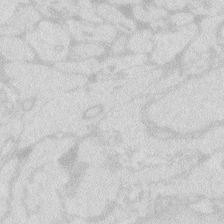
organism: Zebrafish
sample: Macrophage